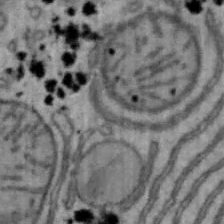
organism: Mouse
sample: Liver